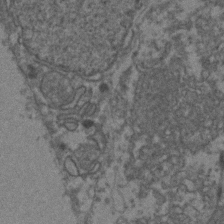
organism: Zebrafish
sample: Zebrafish embryo